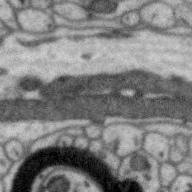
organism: Zebra finch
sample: Brain